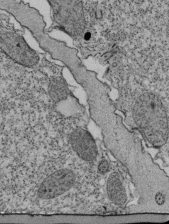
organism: Tetrahymena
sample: Cilia in tetrahymena